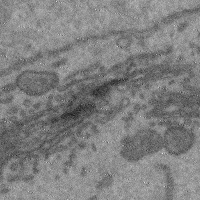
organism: Mouse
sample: Cerebral cortex